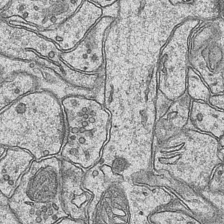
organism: Mouse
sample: CA1 Hippocampus